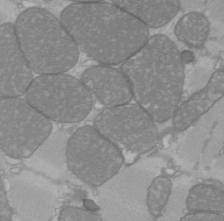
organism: C57BL Mouse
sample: Heart